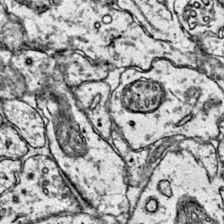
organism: Mouse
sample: Primary visual cortex